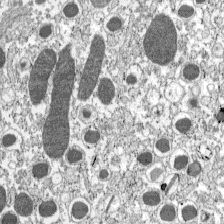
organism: C57BL Mouse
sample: Pancreatic islet